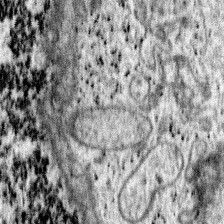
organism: Human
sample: HeLa cells